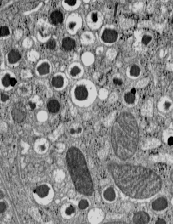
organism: C57BL Mouse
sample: Pancreatic islet